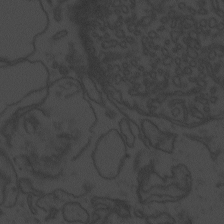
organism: Zebrafish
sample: Macrophage infected with Toxoplasma gondii